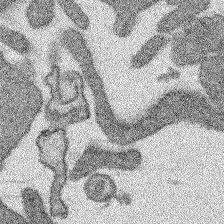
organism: Human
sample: HeLa cells